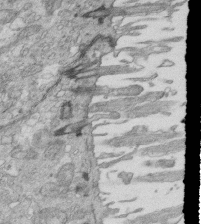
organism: Mouse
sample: Multiciliated cells